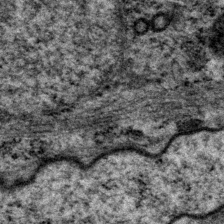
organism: P. pacificus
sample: Pharynx